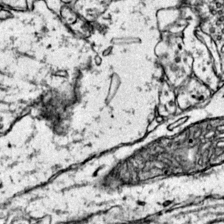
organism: Mouse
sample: Primary visual cortex